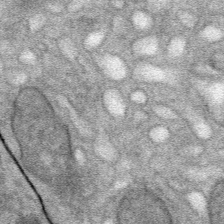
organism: Mouse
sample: Mouse Salivary gland